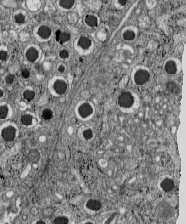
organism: C57BL Mouse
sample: Pancreatic islet